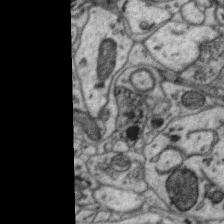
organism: Zebra finch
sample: Brain